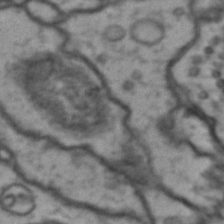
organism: Drosophila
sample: Brain